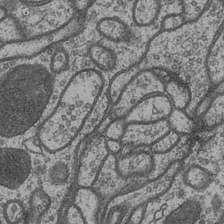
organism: Drosophila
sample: Optic medulla